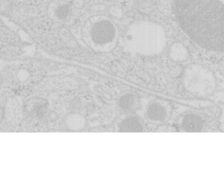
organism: Mouse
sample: Pancreas